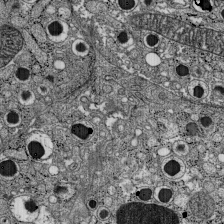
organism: C57BL Mouse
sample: Pancreatic islet